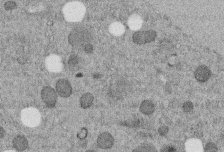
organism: C. elegans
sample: C. elegans embryo early stage